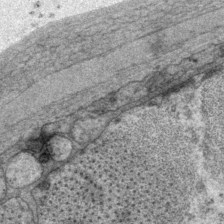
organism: P. pacificus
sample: Pharynx